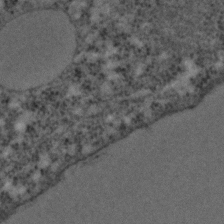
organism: C. elegans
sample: C. elegans embryo